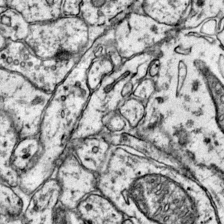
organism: Mouse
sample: Primary visual cortex